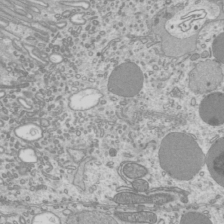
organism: Mouse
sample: Cilia; mouse epididymis